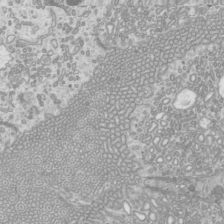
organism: Mouse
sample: Cilia; mouse epididymis